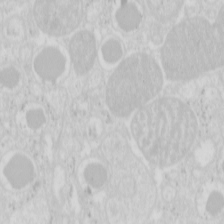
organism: Mouse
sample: Pancreas